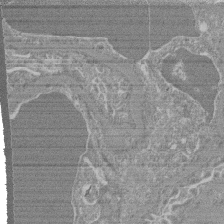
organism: Mouse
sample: Glomerulus